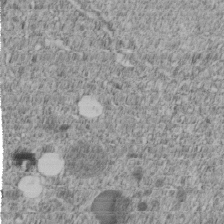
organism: C. elegans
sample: C. elegans embryo early stage